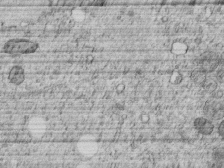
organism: C. elegans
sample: C. elegans embryo early stage